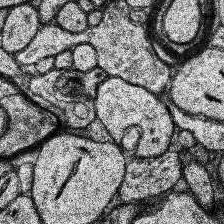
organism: Human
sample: Temporal Lobe